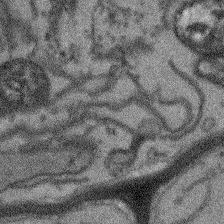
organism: Arabidopsis thaliana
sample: Root tip